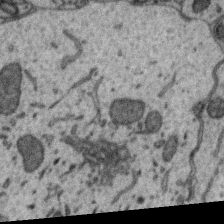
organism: Zebra finch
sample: Brain